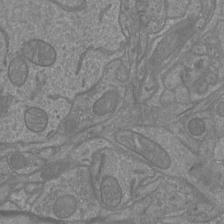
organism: Mouse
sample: Cortical neurons